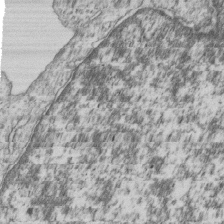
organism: Human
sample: MDA-MB-231 cells